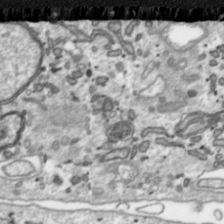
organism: Toxoplasma gondii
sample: Parasites in a vacuole inside a host cell